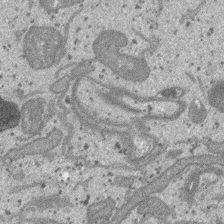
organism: Human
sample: Lung epithelial cells infected with SARS-CoV-2